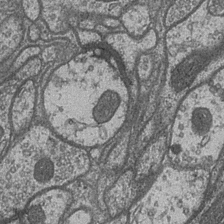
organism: Drosophila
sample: Optic medulla